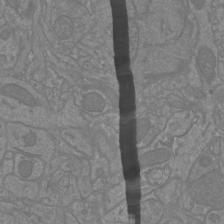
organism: Mouse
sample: Cortical neurons